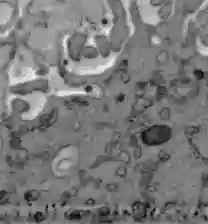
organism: C57BL Mouse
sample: Liver